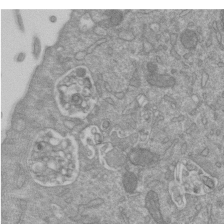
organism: Mouse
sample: ED-1 cell nuclei; centrioles